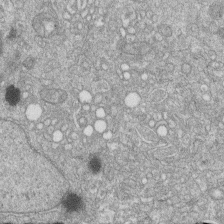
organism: Human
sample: HeLa cell HIV synapse